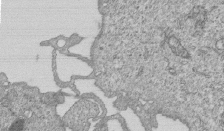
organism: Human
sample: MDA-MB-231 cells